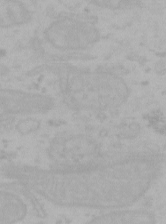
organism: Mouse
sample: Choroid plexus